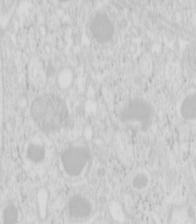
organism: Mouse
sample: Pancreas